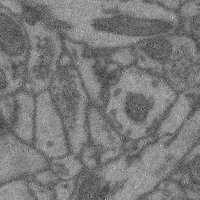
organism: Mouse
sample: Cerebral cortex